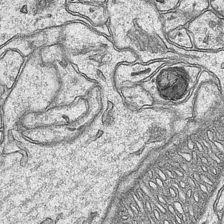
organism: Mouse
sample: CA1 Hippocampus